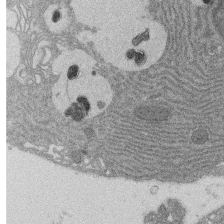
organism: Rat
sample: Salivary granule